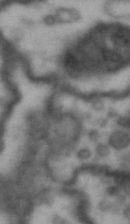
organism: Drosophila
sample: Brain